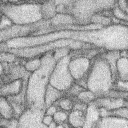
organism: Rabbit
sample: Retina